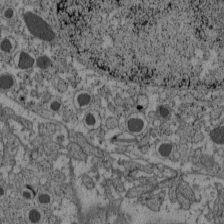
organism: C57BL Mouse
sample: Pancreatic islet